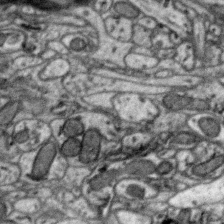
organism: Zebra finch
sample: Brain